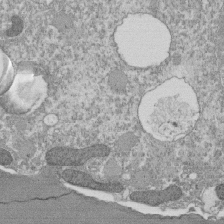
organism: Tetrahymena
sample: Cilia in tetrahymena